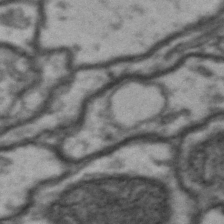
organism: Drosophila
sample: Brain